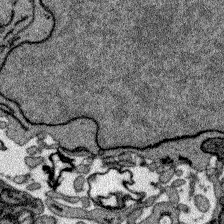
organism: Zebrafish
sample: Larval olfactory bulb